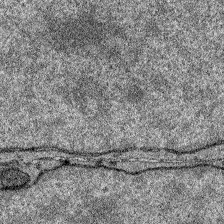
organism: Zebrafish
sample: Larval olfactory bulb